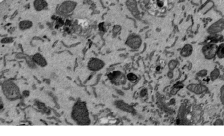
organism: Mouse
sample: ED-1 cell nuclei; centrioles